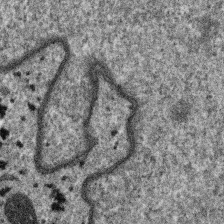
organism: Human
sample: Lung epithelial cells infected with SARS-CoV-2